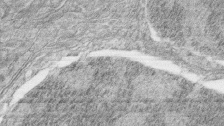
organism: Zebrafish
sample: synaptic ribbons in rod cells and cone cells